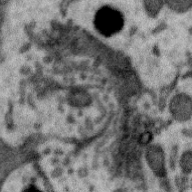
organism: Zebra finch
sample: Brain